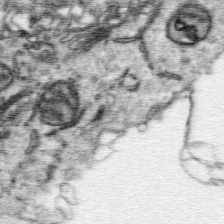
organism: Human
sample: HeLa cells